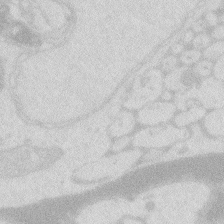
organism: Zebrafish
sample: Macrophage